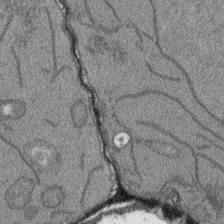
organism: Arabidopsis thaliana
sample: Root tip